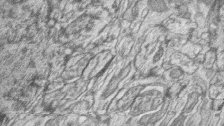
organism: Zebrafish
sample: synaptic ribbons in rod cells and cone cells